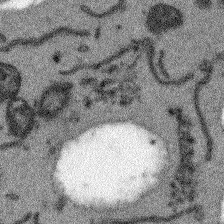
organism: Arabidopsis thaliana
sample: Root tip